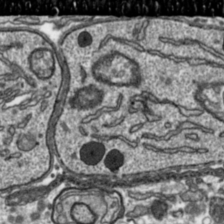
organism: Toxoplasma gondii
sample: Parasites in a vacuole inside a host cell